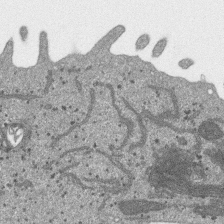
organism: Human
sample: Lung epithelial cells infected with SARS-CoV-2